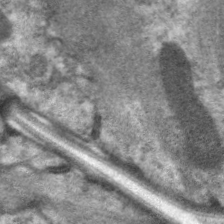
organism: C. elegans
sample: Pharynx